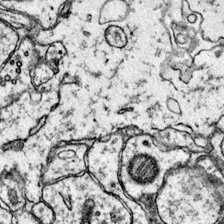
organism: Mouse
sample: Primary visual cortex